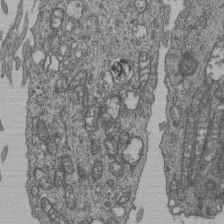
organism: Human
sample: Retinal organoid Rod and Cone cells